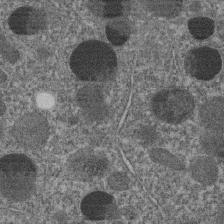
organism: C. elegans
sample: C. elegans embryo early stage